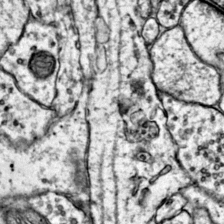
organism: Mouse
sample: Primary visual cortex